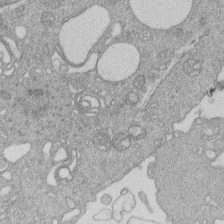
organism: Human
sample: Macrophage cells